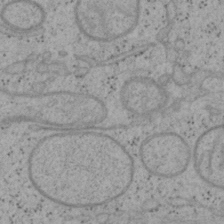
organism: Human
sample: HeLa cells